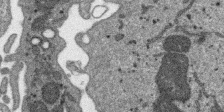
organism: Human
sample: Lung epithelial cells infected with SARS-CoV-2